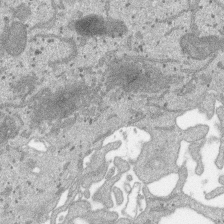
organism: Human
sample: Lung epithelial cells infected with SARS-CoV-2